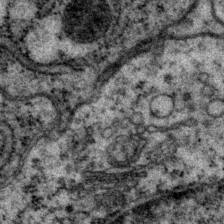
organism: P. pacificus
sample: Pharynx